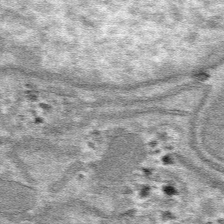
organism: Mouse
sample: Mouse hepatocytes